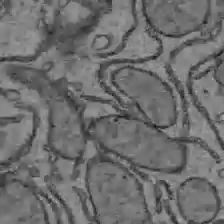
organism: C57BL Mouse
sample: Liver